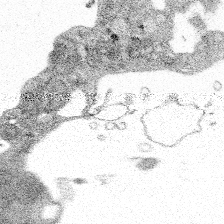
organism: Spongilla lacustris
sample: Multiple